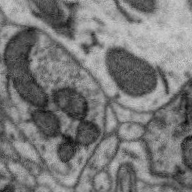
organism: Zebra finch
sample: Brain